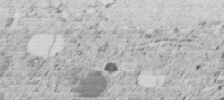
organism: C. elegans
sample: C. elegans embryo early stage